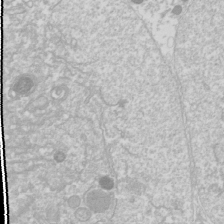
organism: Drosophila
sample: Cell division; meiosis; drosophila spermatocytes